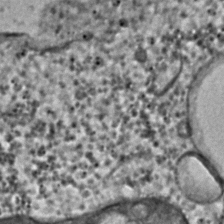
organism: C. elegans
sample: C. elegans embryo